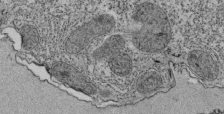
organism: Tetrahymena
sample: Cilia in tetrahymena